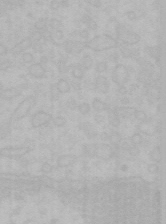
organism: Mouse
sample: Choroid plexus